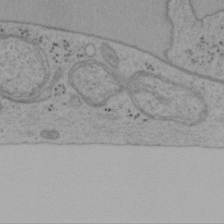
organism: Human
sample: HeLa cells